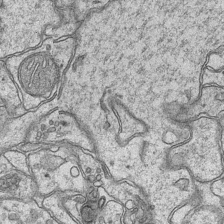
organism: Mouse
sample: CA1 Hippocampus